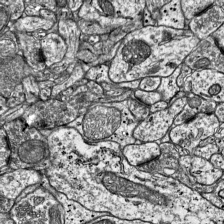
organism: Mouse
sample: Visual Cortex